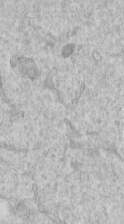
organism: Human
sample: Centriole in RPE cells